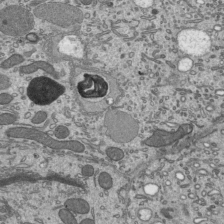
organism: Mouse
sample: Mouse epididymis efferent ductule cilia